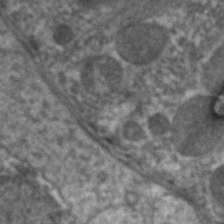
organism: C. elegans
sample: Pharynx